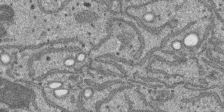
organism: Human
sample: Lung epithelial cells infected with SARS-CoV-2